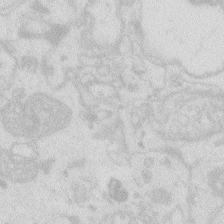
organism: Zebrafish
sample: Macrophage